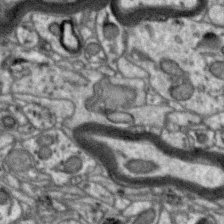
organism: Zebra finch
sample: Brain